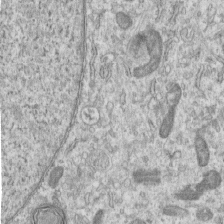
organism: Human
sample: Centriole in RPE cells